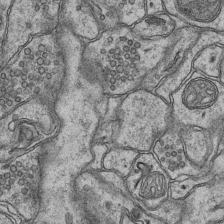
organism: Mouse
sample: CA1 Hippocampus